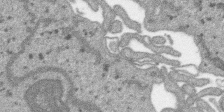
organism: Human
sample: Lung epithelial cells infected with SARS-CoV-2